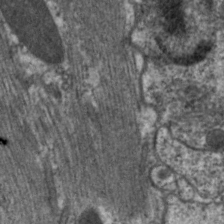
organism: C. elegans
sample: Pharynx